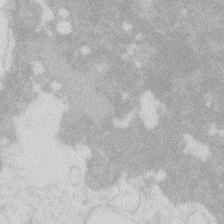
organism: Zebrafish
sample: Macrophage